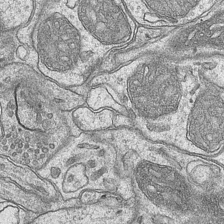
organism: Mouse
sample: CA1 Hippocampus